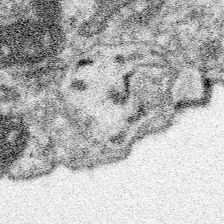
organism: Spongilla lacustris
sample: Neuroid cell